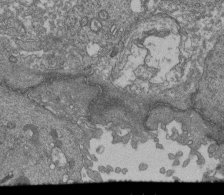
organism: Human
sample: Retinal organoid Rod and Cone cells